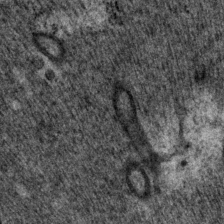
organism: P. pacificus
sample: Pharynx